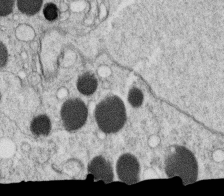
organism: C. elegans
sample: C. elegans oocyte; sperm cells